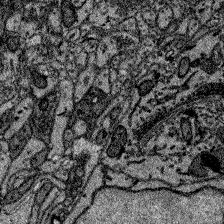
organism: Zebrafish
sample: Larval olfactory bulb